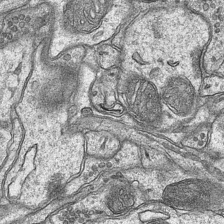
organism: Mouse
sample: CA1 Hippocampus